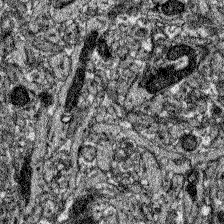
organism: Zebrafish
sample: Larval olfactory bulb